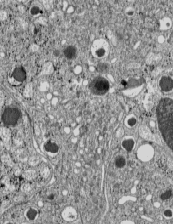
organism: C57BL Mouse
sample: Pancreatic islet